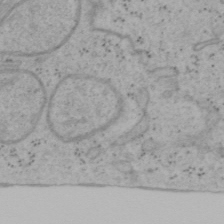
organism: Human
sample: HeLa cells